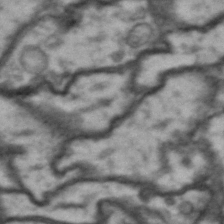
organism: Drosophila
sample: Brain